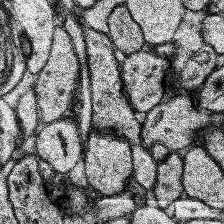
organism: Human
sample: Temporal Lobe